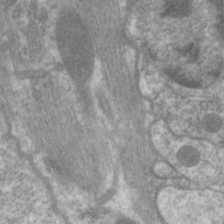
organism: C. elegans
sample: Pharynx